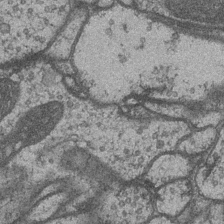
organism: Drosophila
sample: Optic medulla